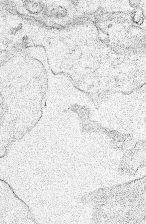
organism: Human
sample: Mitochondria in HCT116 cells